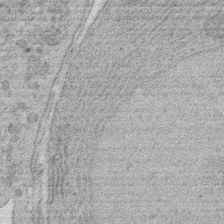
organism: Rat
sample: Salivary granule